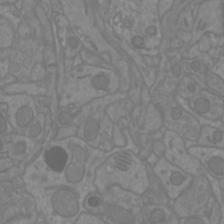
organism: Mouse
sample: Cortical neurons